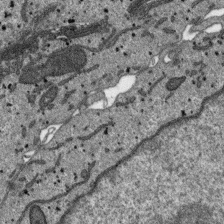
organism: Human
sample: Lung epithelial cells, uninfected (mock) control